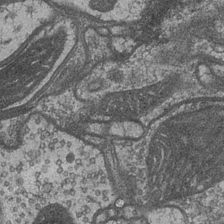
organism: Drosophila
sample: Optic medulla